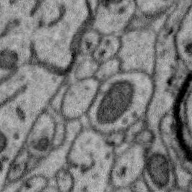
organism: Zebra finch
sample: Brain